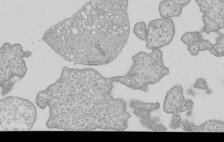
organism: Human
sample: MDA-MB-231 cells